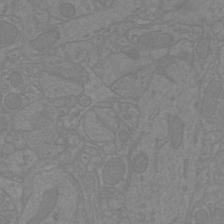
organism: Mouse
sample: Cortical neurons